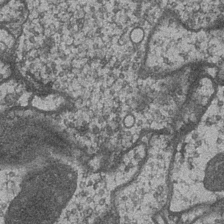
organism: Drosophila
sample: Optic medulla